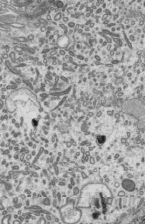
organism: Mouse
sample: Mouse epididymis efferent ductule cilia